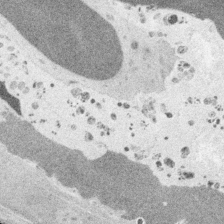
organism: Embia sp.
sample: Silk gland